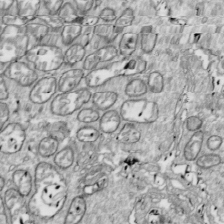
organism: Drosophila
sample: Cell division; meiosis; drosophila spermatocytes